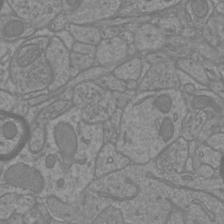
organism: Mouse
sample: Cortical neurons